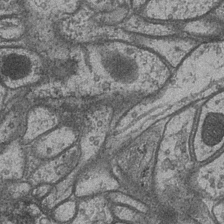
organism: Drosophila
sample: Optic medulla